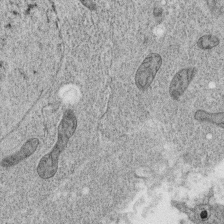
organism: C. elegans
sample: C. elegans oocyte; sperm cells